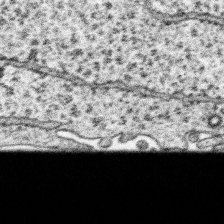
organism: Human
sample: HeLa cells